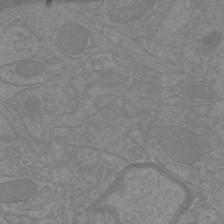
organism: Mouse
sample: Cortical neurons